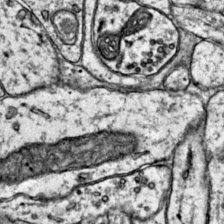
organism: Mouse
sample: Primary visual cortex